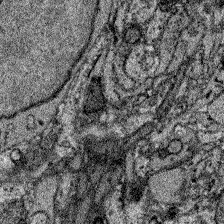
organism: Zebrafish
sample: Larval olfactory bulb